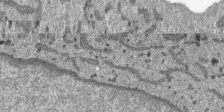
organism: Human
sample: Lung epithelial cells infected with SARS-CoV-2